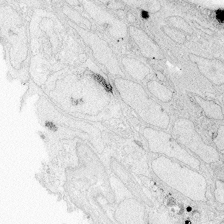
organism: Zebrafish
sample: Whole-Brain